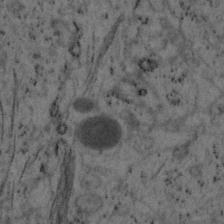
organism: Human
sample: HeLa cells